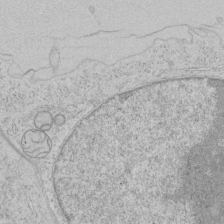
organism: Human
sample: Mitochondria in HCT116 cells